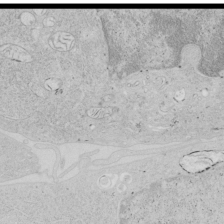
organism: Human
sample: Mitochondria in HCT116 cells